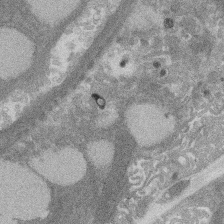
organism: Rat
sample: Salivary granule